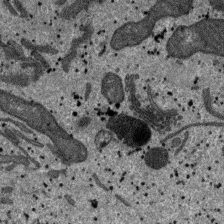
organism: Human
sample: Lung epithelial cells, uninfected (mock) control